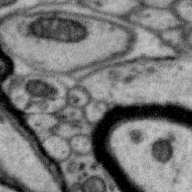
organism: Zebra finch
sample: Brain